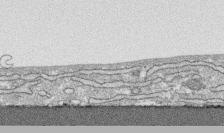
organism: Human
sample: CRL-1474